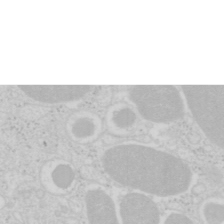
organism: Mouse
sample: Pancreas